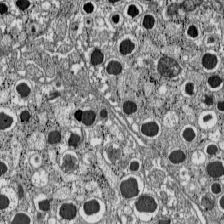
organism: C57BL Mouse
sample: Pancreatic islet